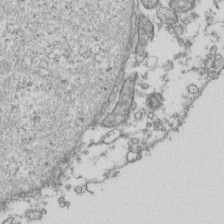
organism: Human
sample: Activated Jurkat CD4+ T cells